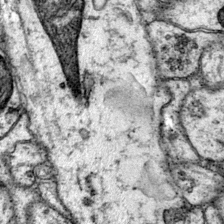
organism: Mouse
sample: Primary visual cortex